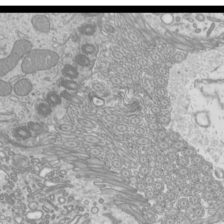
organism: Mouse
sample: Cilia; mouse epididymis